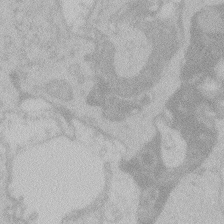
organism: Zebrafish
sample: Macrophage infected with Toxoplasma gondii